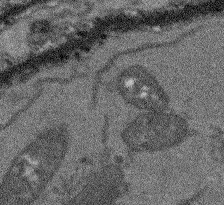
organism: Arabidopsis thaliana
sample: Root tip